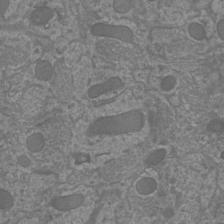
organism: Mouse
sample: Cortical neurons